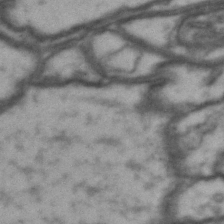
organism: Drosophila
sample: Brain